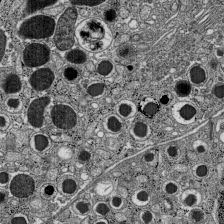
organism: C57BL Mouse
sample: Pancreatic islet